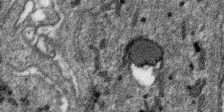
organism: Human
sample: Lung epithelial cells infected with SARS-CoV-2